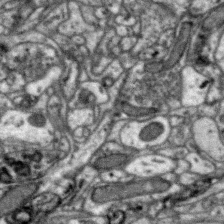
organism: Zebra finch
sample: Brain